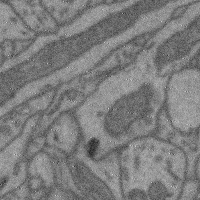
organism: Mouse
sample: Cerebral cortex